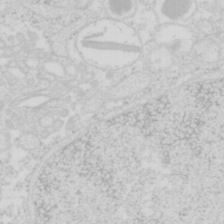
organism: Mouse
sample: Pancreas